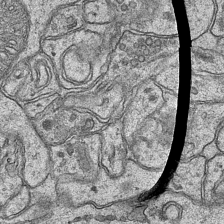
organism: Mouse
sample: CA1 Hippocampus